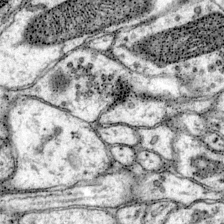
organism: Mouse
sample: Primary visual cortex